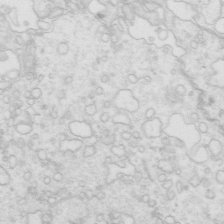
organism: Mouse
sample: Multiciliated cells